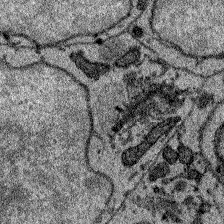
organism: Zebrafish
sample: Larval olfactory bulb